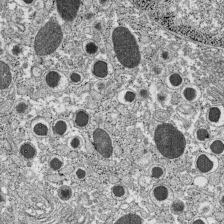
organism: C57BL Mouse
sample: Pancreatic islet